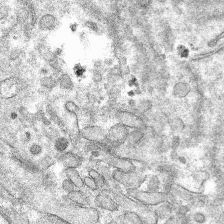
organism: Mouse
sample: Mouse hepatocytes